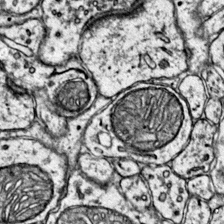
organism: Mouse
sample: Primary visual cortex